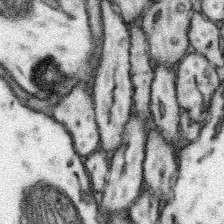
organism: Mouse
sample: Somatosensory cortex neuropil